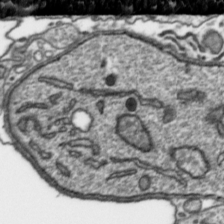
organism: Toxoplasma gondii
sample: Parasites in a vacuole inside a host cell